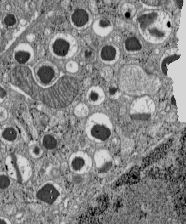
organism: C57BL Mouse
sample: Pancreatic islet